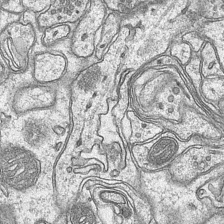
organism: Mouse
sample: CA1 Hippocampus